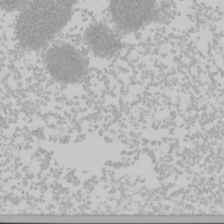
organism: Mouse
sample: Cancer cell death in ED-1 cells